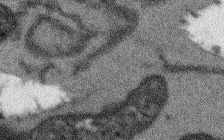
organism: Arabidopsis thaliana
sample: Root tip